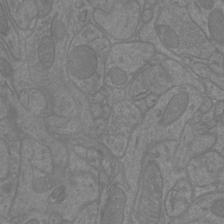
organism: Mouse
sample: Cortical neurons